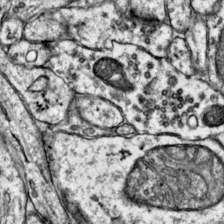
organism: Mouse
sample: Primary visual cortex